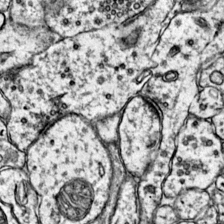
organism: Mouse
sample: Primary visual cortex